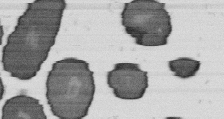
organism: B. subtilis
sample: Bacterial spore